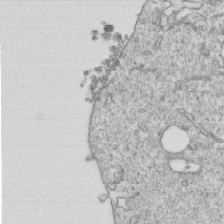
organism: Mouse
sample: Activated OT-1 CD8+ T cells